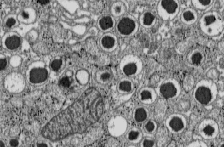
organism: C57BL Mouse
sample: Pancreatic islet